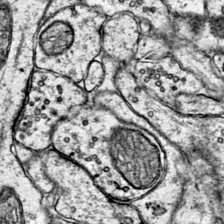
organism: Mouse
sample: Primary visual cortex